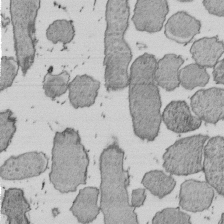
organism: E. coli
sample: Bacterial nucleoid